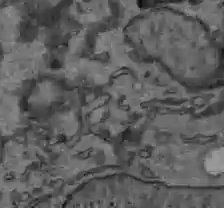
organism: C57BL Mouse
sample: Liver